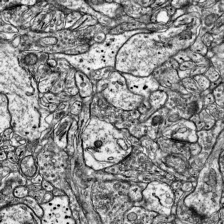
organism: Mouse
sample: Visual Cortex